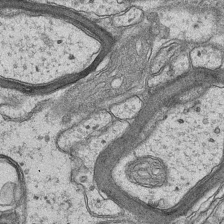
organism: Mouse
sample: CA1 Hippocampus